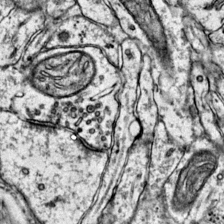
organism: Mouse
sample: Primary visual cortex